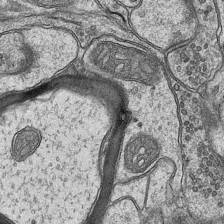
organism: Mouse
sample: CA1 Hippocampus